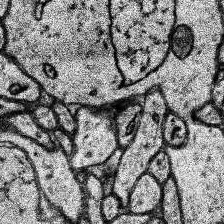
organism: Human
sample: Temporal Lobe